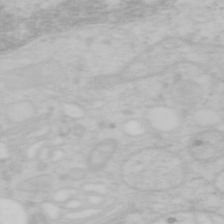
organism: Mouse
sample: OT-I killer T cells with ID8 ovarian cancer cells